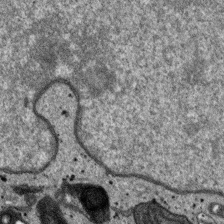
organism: Human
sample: Lung epithelial cells, uninfected (mock) control